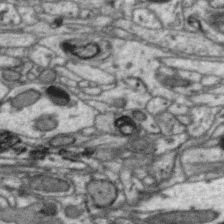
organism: Zebra finch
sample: Brain